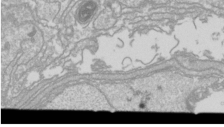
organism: Drosophila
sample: Cell division; meiosis; drosophila spermatocytes